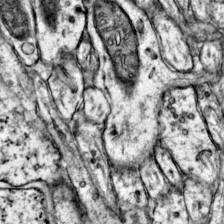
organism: Mouse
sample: Primary visual cortex